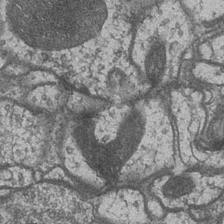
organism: Drosophila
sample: Optic medulla